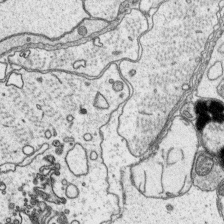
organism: Platynereis dumerilii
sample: Parapodia